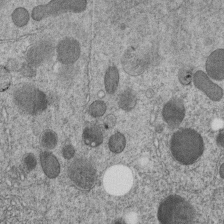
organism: C. elegans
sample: C. elegans embryo early stage